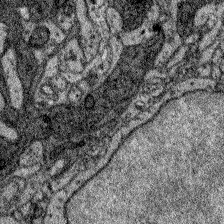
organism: Zebrafish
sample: Larval olfactory bulb